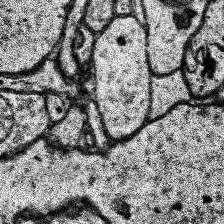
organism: Human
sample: Temporal Lobe